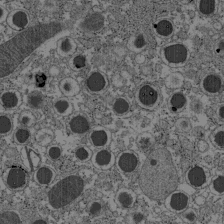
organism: C57BL Mouse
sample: Pancreatic islet